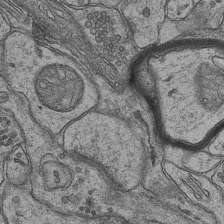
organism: Mouse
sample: CA1 Hippocampus